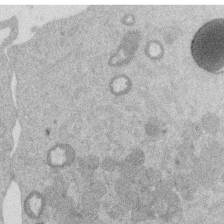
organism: Mouse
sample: Dividing mouse embryo 1 cell stage